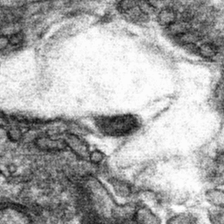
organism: Mouse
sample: Mouse hepatocytes